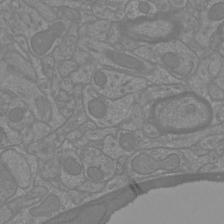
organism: Mouse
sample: Cortical neurons